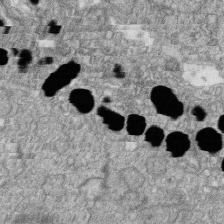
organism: Zebrafish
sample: Cilia; retinal pigment epithelium